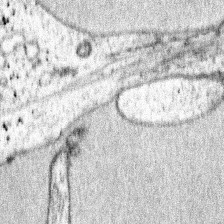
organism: Human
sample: HeLa cells